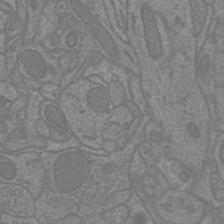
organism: Mouse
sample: Cortical neurons